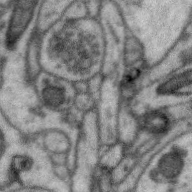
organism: Zebra finch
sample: Brain